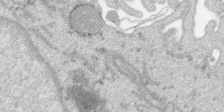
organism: Human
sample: Lung epithelial cells infected with SARS-CoV-2